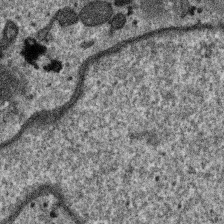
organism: Human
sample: Lung epithelial cells infected with SARS-CoV-2